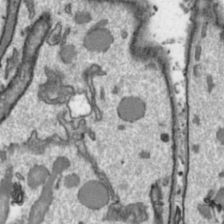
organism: Toxoplasma gondii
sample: Parasites in a vacuole inside a host cell